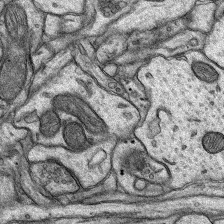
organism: Rat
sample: Hippocampus